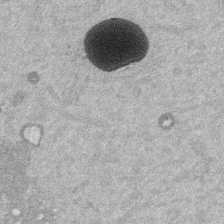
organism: Mouse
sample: Dividing mouse embryo 1 cell stage